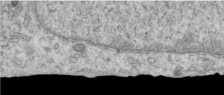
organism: Human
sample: Centriole in RPE cells